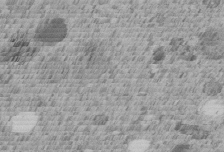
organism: C. elegans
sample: C. elegans embryo early stage